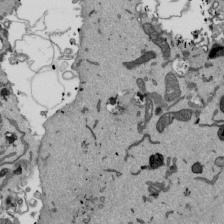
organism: Mouse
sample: ED-1 cell nuclei; centrioles